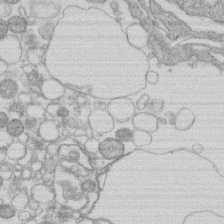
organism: Human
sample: Macrophage cells